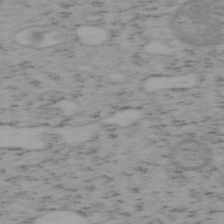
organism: Mouse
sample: OT-I killer T cells with ID8 ovarian cancer cells